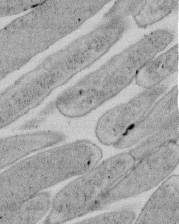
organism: E. coli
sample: Bacterial nucleoid